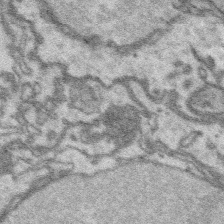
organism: Platynereis dumerilii